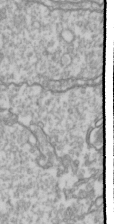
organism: Drosophila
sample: Cell division; meiosis; drosophila spermatocytes